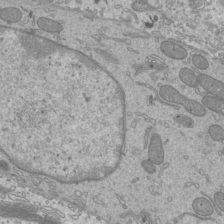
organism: Mouse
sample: Cilia; mouse epididymis